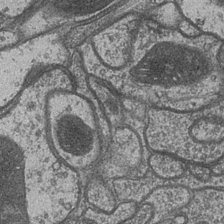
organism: Drosophila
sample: Optic medulla